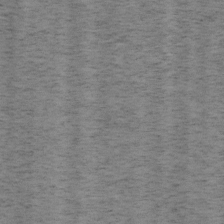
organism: Mouse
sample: OT-I killer T cells with ID8 ovarian cancer cells